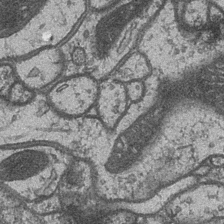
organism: Drosophila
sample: Optic medulla